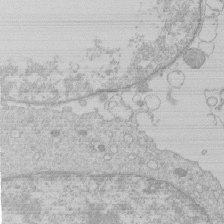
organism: Human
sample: Macrophage cells